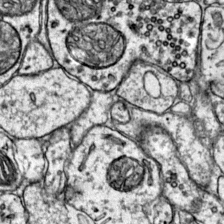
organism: Mouse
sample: Primary visual cortex